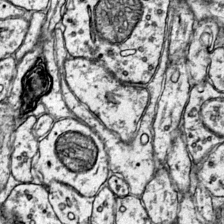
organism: Mouse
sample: Primary visual cortex